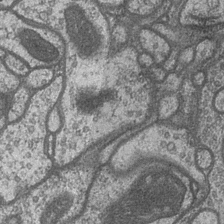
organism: Drosophila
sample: Optic medulla